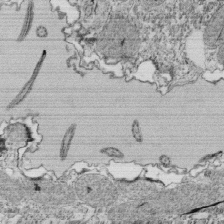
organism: Tetrahymena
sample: Cilia in tetrahymena